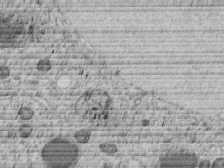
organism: C. elegans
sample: C. elegans embryo early stage